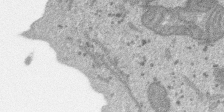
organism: Human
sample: Lung epithelial cells infected with SARS-CoV-2